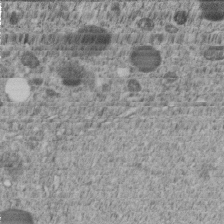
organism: C. elegans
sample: C. elegans embryo early stage